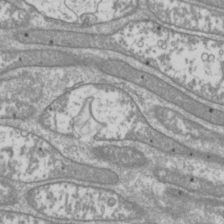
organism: Drosophila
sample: Cell division; meiosis; drosophila spermatocytes